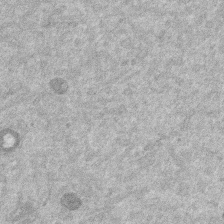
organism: Mouse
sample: Dividing mouse embryo 1 cell stage